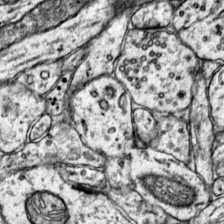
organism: Mouse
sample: Primary visual cortex